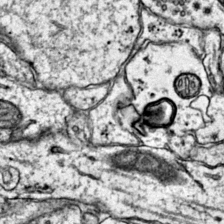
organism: Mouse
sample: Primary visual cortex